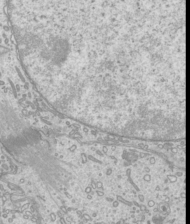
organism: Mouse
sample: Cilia; mouse epididymis